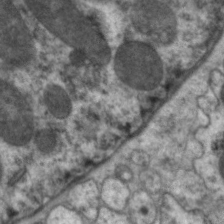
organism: C. elegans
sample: Pharynx